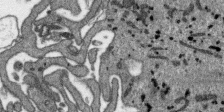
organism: Human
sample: Lung epithelial cells, uninfected (mock) control